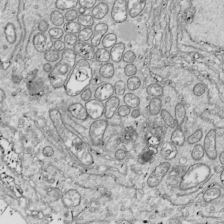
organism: Drosophila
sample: Cell division; meiosis; drosophila spermatocytes